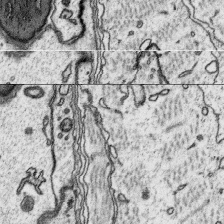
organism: Platynereis dumerilii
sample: Parapodia